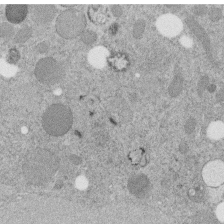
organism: C. elegans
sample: C. elegans embryo early stage